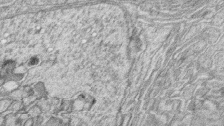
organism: Zebrafish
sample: synaptic ribbons in rod cells and cone cells